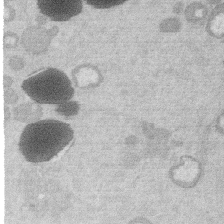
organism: Mouse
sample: Dividing mouse embryo 1 cell stage